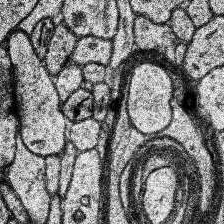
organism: Human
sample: Temporal Lobe